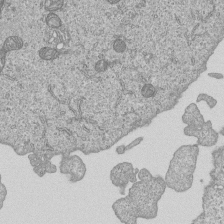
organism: Human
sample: MDA-MB-231 cells